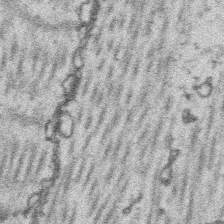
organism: Platynereis dumerilii